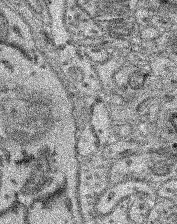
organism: Mouse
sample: Retina